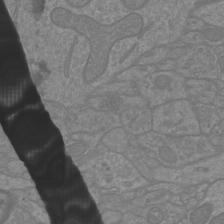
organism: Mouse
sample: Cortical neurons